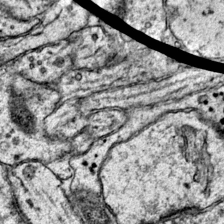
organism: Mouse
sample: Primary visual cortex